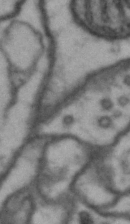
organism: Drosophila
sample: Brain